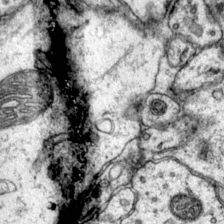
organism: Mouse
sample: Primary visual cortex